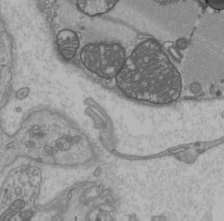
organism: C57BL Mouse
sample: Heart